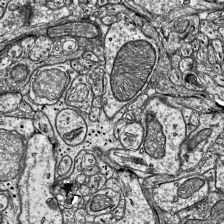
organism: Mouse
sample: Visual Cortex